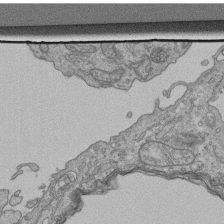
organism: Human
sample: Retinal organoid Rod and Cone cells